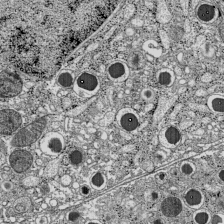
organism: C57BL Mouse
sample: Pancreatic islet